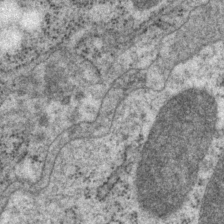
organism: P. pacificus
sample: Pharynx